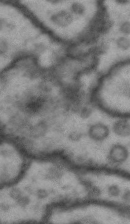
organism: Drosophila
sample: Brain